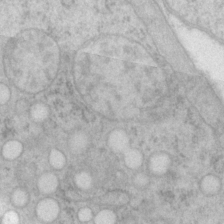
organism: P. pacificus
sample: Pharynx